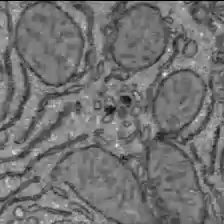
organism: C57BL Mouse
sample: Liver